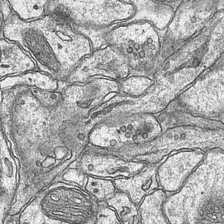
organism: Mouse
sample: CA1 Hippocampus